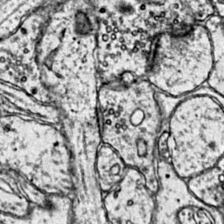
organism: Mouse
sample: Primary visual cortex